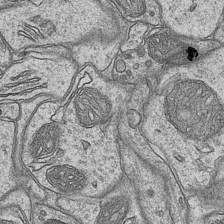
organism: Mouse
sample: CA1 Hippocampus